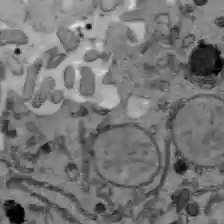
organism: C57BL Mouse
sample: Liver